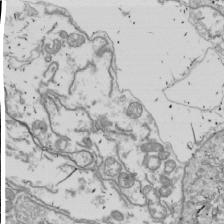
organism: Drosophila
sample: Cell division; meiosis; drosophila spermatocytes